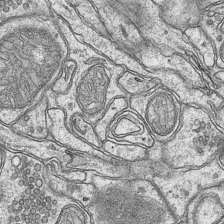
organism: Mouse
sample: CA1 Hippocampus